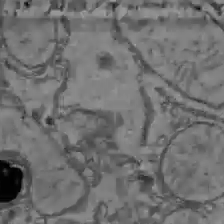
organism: C57BL Mouse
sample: Liver